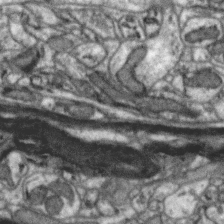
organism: Zebra finch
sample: Brain